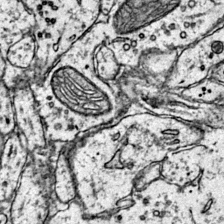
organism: Mouse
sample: Primary visual cortex